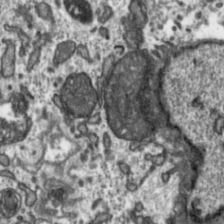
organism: Toxoplasma gondii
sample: Parasites in a vacuole inside a host cell